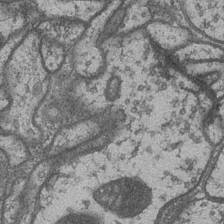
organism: Drosophila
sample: Optic medulla